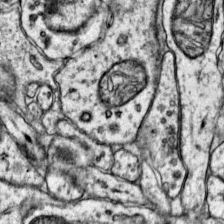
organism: Mouse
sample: Primary visual cortex